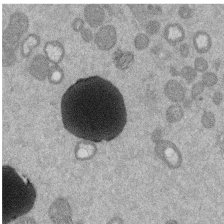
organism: Mouse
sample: Dividing mouse embryo 1 cell stage